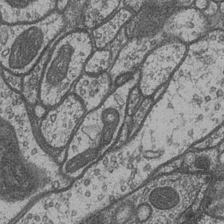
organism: Drosophila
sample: Optic medulla